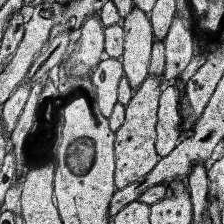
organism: Human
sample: Temporal Lobe